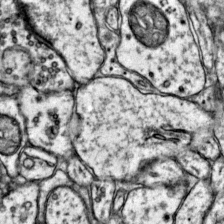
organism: Mouse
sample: Primary visual cortex